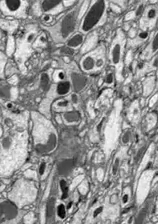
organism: Drosophila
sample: Optic lobe